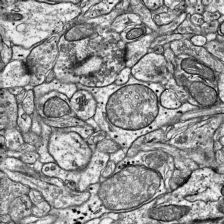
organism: Mouse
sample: Visual Cortex